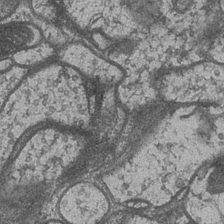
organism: Drosophila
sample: Optic medulla